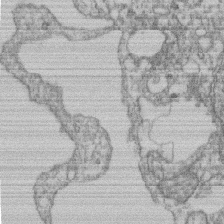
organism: Mouse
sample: T cell stromal cell synapse